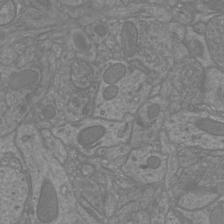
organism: Mouse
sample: Cortical neurons